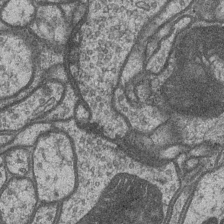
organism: Drosophila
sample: Optic medulla